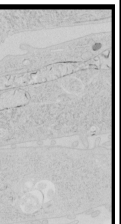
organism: Human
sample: Mitochondria in HCT116 cells